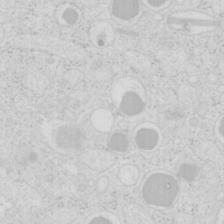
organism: Mouse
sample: Pancreas